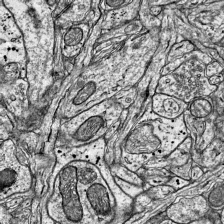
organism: Mouse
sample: Visual Cortex